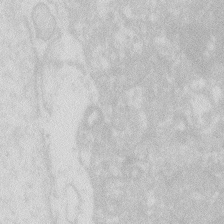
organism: Zebrafish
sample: Macrophage